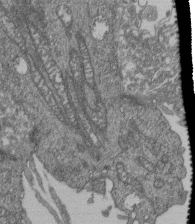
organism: Human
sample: Retinal organoid Rod and Cone cells